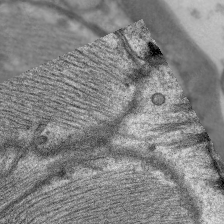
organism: C. elegans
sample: Pharynx